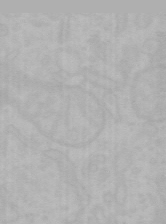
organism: Mouse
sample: Choroid plexus